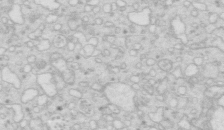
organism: Mouse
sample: Multiciliated cells